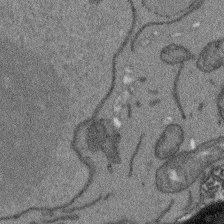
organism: Arabidopsis thaliana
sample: Root tip